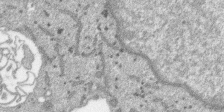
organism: Human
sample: Lung epithelial cells infected with SARS-CoV-2